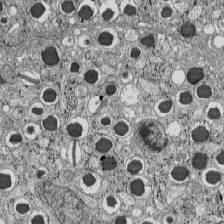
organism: C57BL Mouse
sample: Pancreatic islet